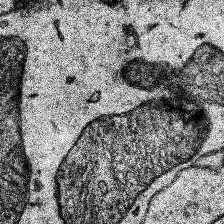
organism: Human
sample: Temporal Lobe